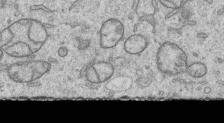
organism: Human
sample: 1205lu cells